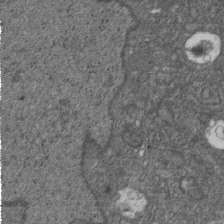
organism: Drosophila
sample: Nephrocyte